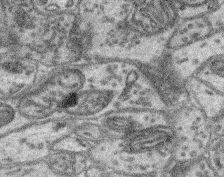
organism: Mouse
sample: Retina